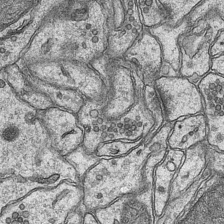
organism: Mouse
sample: CA1 Hippocampus